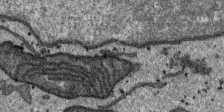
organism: Human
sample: Lung epithelial cells, uninfected (mock) control